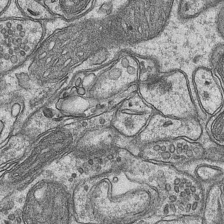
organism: Mouse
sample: CA1 Hippocampus